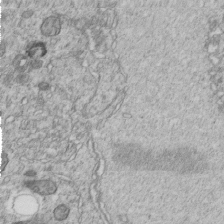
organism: C. elegans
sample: C. elegans embryo early stage